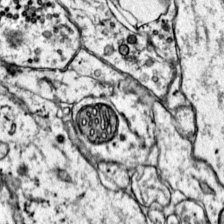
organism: Mouse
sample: Primary visual cortex